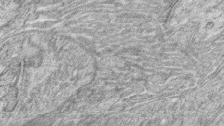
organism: Zebrafish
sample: synaptic ribbons in rod cells and cone cells